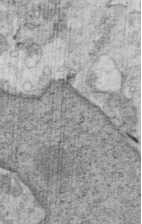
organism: Mouse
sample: Multiciliated cells